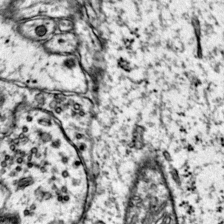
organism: Mouse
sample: Primary visual cortex